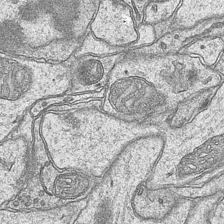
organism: Mouse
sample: CA1 Hippocampus